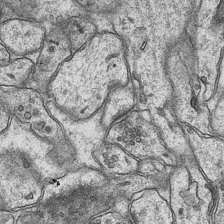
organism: Mouse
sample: CA1 Hippocampus